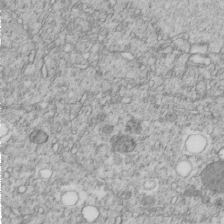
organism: C. elegans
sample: C. elegans embryo early stage